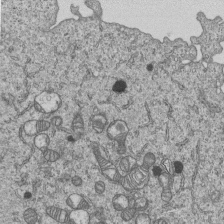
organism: Human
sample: MDA-MB-231 cells